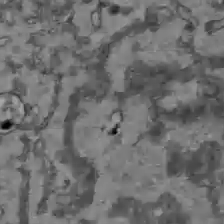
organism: C57BL Mouse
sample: Liver